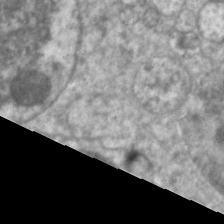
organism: C. elegans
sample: Pharynx